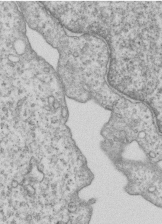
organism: Human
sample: MDA-MB-231 cells